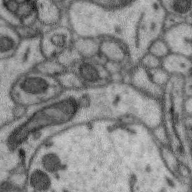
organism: Zebra finch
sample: Brain